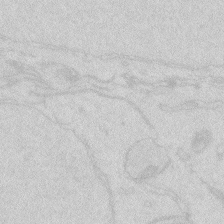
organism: Zebrafish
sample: Macrophage